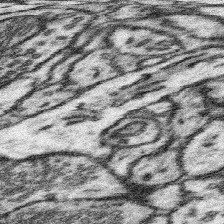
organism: Mouse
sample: Somatosensory cortex neuropil